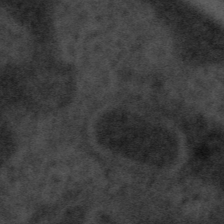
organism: Tuwongella immobilis